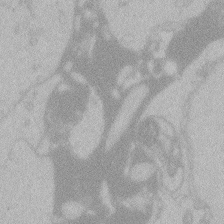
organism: Zebrafish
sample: Macrophage infected with Toxoplasma gondii